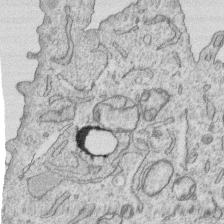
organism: Human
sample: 1205lu cells